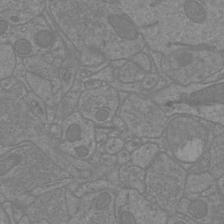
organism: Mouse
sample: Cortical neurons